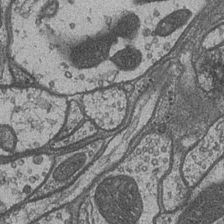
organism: Drosophila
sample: Optic medulla